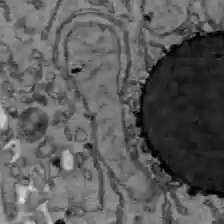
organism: C57BL Mouse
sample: Liver